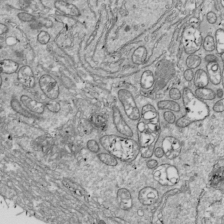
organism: Drosophila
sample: Cell division; meiosis; drosophila spermatocytes